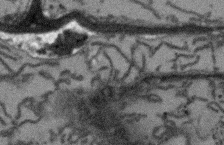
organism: Arabidopsis thaliana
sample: Root tip